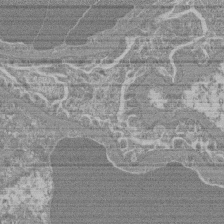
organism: Mouse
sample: Glomerulus